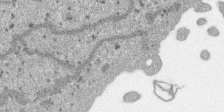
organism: Human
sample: Lung epithelial cells infected with SARS-CoV-2